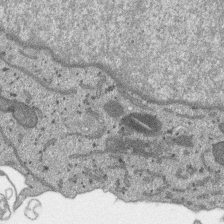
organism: Human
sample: Lung epithelial cells infected with SARS-CoV-2